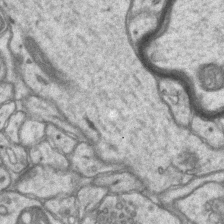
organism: Mouse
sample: CA1 Hippocampus